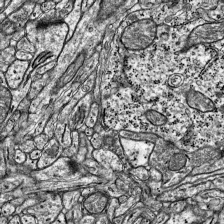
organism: Mouse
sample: Visual Cortex